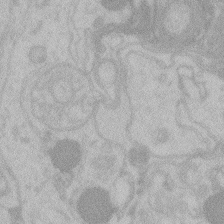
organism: Zebrafish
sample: Macrophage infected with Toxoplasma gondii